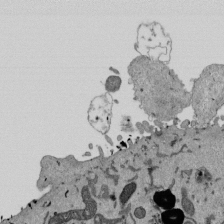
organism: Mouse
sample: ED-1 cell nuclei; centrioles